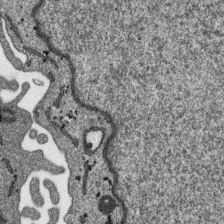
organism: Human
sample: Lung epithelial cells infected with SARS-CoV-2